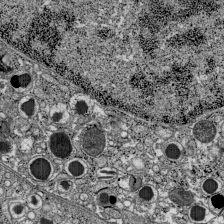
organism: C57BL Mouse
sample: Pancreatic islet